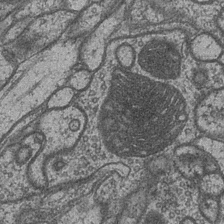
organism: Drosophila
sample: Optic medulla